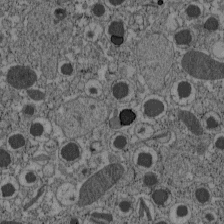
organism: C57BL Mouse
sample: Pancreatic islet